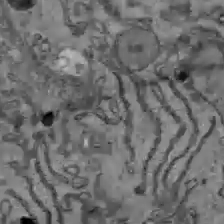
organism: C57BL Mouse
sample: Liver